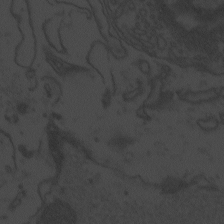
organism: Zebrafish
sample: Macrophage infected with Toxoplasma gondii